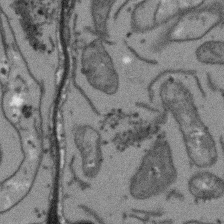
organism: Arabidopsis thaliana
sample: Root tip